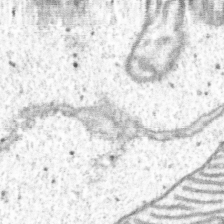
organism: Human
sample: HeLa cells